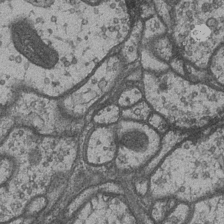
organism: Drosophila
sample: Optic medulla